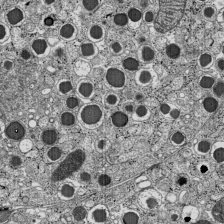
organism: C57BL Mouse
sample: Pancreatic islet